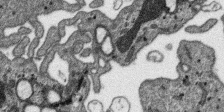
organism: Human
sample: Lung epithelial cells infected with SARS-CoV-2